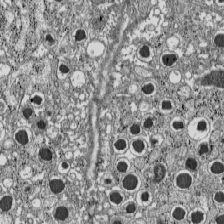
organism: C57BL Mouse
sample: Pancreatic islet